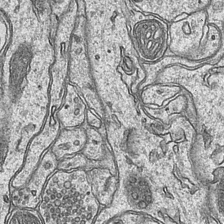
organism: Mouse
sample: CA1 Hippocampus